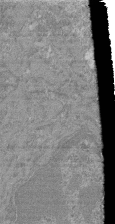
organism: Mouse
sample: Glomerulus